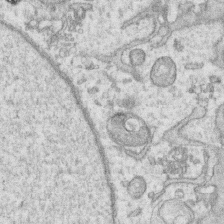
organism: Human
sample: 1205lu cells